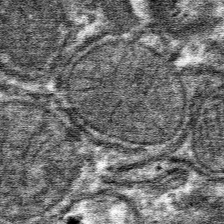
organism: Mouse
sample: Mouse hepatocytes